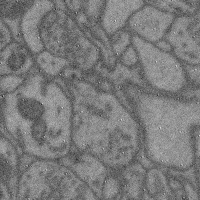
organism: Mouse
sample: Cerebral cortex